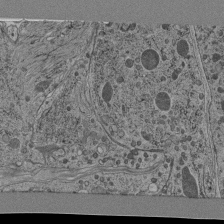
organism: C. elegans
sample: C. elegans pharynx